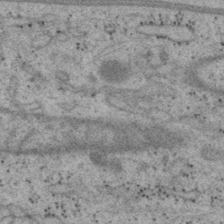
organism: Human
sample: HeLa cells